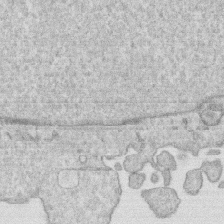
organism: Human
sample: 1205lu cells